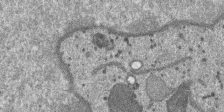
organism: Human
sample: Lung epithelial cells infected with SARS-CoV-2